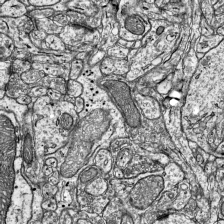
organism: Mouse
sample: Visual Cortex